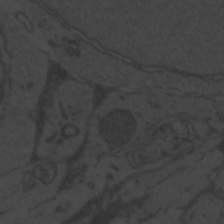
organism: Zebrafish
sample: Macrophage infected with Toxoplasma gondii